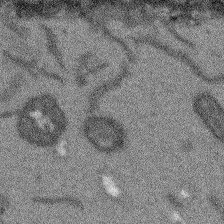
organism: Arabidopsis thaliana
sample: Root tip